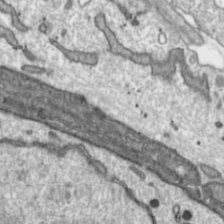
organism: Toxoplasma gondii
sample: Parasites in a vacuole inside a host cell